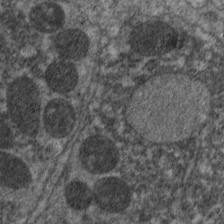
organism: C. elegans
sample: Pharynx